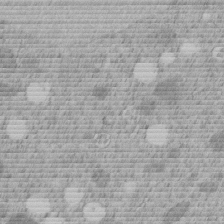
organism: C. elegans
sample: C. elegans embryo early stage